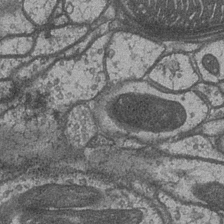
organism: Drosophila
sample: Optic medulla